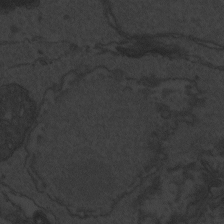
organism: Zebrafish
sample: Macrophage infected with Toxoplasma gondii